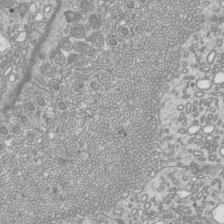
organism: Mouse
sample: Cilia; mouse epididymis